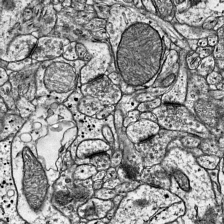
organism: Mouse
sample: Visual Cortex